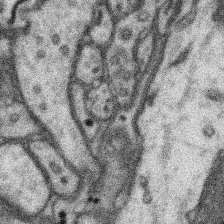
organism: Mouse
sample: Somatosensory cortex neuropil